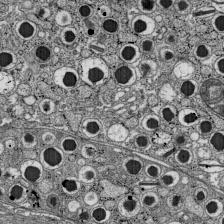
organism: C57BL Mouse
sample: Pancreatic islet